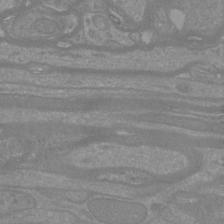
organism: Mouse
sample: Cortical neurons